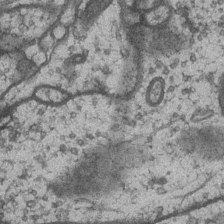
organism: Drosophila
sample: Optic medulla